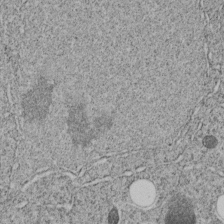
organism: C. elegans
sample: C. elegans embryo early stage